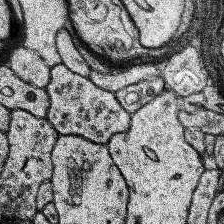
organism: Human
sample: Temporal Lobe